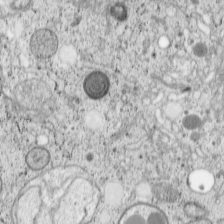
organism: African green monkey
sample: COS-7 cells